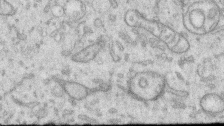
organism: Human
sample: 1205lu cells